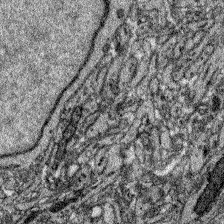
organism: Zebrafish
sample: Larval olfactory bulb